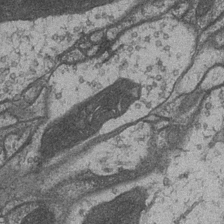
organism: Drosophila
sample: Optic medulla